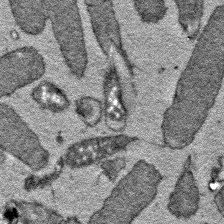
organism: E. coli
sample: E. Coli Bacteria